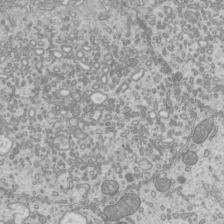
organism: Mouse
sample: Cilia; mouse epididymis